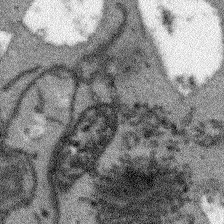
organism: Arabidopsis thaliana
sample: Root tip